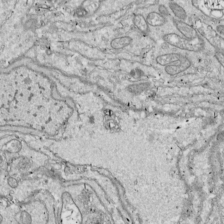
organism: Drosophila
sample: Cell division; meiosis; drosophila spermatocytes